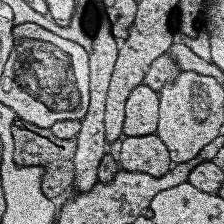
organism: Human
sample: Temporal Lobe